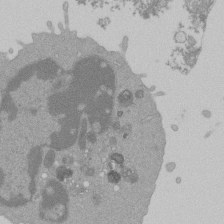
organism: Mouse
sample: Activated Pmel transgenic CD8+ T Cells